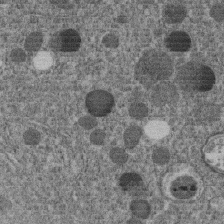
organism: C. elegans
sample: C. elegans embryo early stage